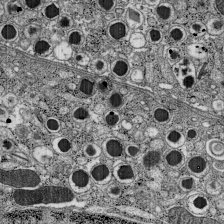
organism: C57BL Mouse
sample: Pancreatic islet